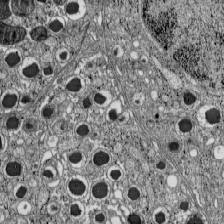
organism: C57BL Mouse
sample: Pancreatic islet